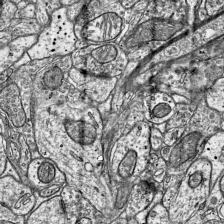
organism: Mouse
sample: Visual Cortex